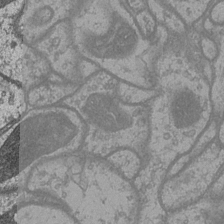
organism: Drosophila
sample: Optic medulla